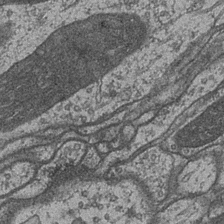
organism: Drosophila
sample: Optic medulla